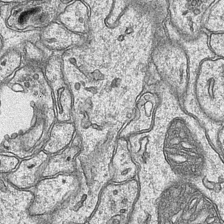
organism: Mouse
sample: CA1 Hippocampus